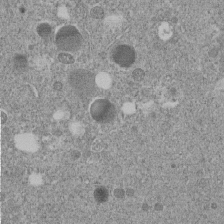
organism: C. elegans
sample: C. elegans embryo early stage